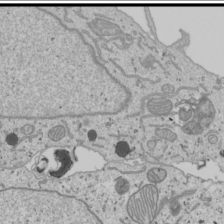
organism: Human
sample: Mitochondria in U2OS cells